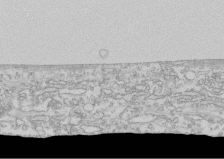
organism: Human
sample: CRL-1474